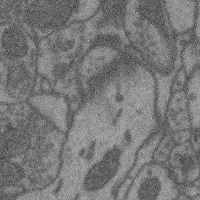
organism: Mouse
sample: Cerebral cortex